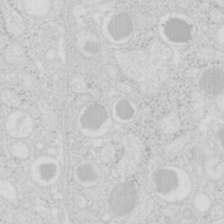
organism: Mouse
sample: Pancreas